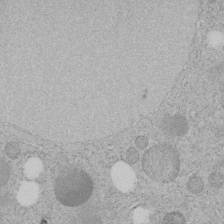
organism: C. elegans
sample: C. elegans embryo early stage